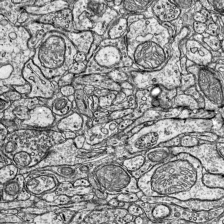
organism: Mouse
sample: Visual Cortex